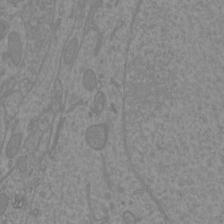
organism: Mouse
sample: Cortical neurons